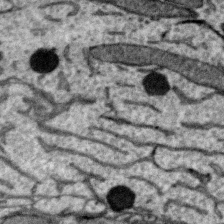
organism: Zebra finch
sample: Brain